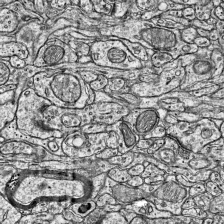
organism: Mouse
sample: Visual Cortex